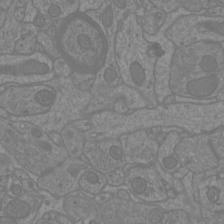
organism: Mouse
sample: Cortical neurons